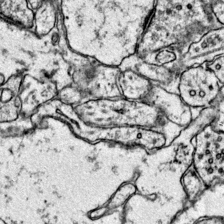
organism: Mouse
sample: Primary visual cortex